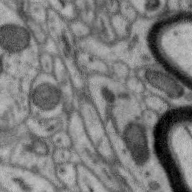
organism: Zebra finch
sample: Brain